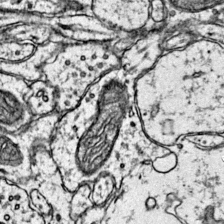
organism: Mouse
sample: Primary visual cortex